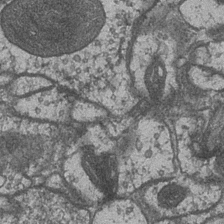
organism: Drosophila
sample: Optic medulla